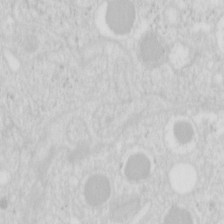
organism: Mouse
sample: Pancreas